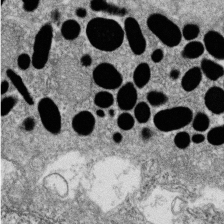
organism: Zebrafish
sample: Cilia; retinal pigment epithelium